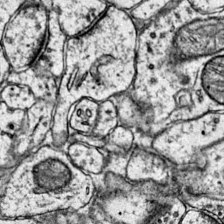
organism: Mouse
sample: Primary visual cortex